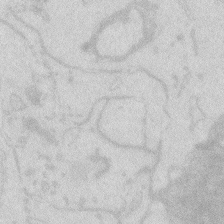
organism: Zebrafish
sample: Macrophage